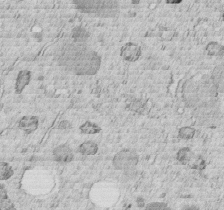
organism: C. elegans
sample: C. elegans embryo early stage